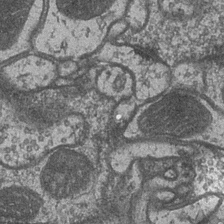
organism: Drosophila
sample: Optic medulla